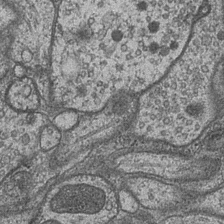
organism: Drosophila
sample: Optic medulla